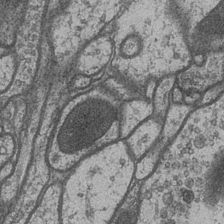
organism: Drosophila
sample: Optic medulla